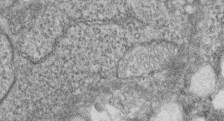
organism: Zebrafish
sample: Cilia; retinal pigment epithelium